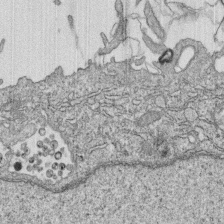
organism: Human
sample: HeLa cell HIV synapse